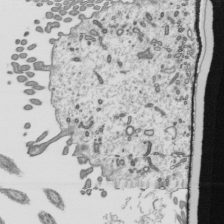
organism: Mouse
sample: Mouse epididymis efferent ductule cilia